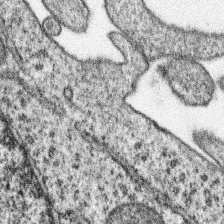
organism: Human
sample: HeLa cells